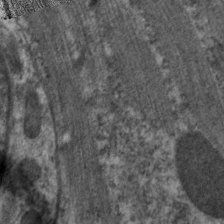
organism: C. elegans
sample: Pharynx